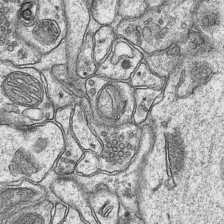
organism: Mouse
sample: CA1 Hippocampus